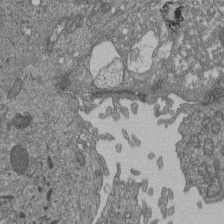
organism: Human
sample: Retinal organoid Rod and Cone cells